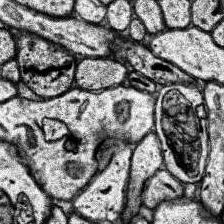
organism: Human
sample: Temporal Lobe